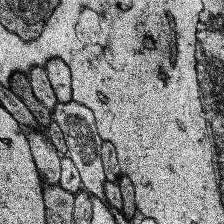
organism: Human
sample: Temporal Lobe